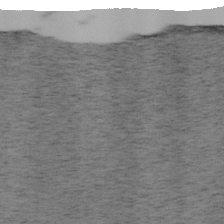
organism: Mouse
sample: OT-I killer T cells with ID8 ovarian cancer cells